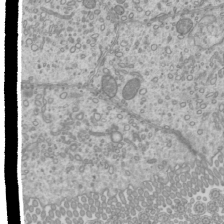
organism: Mouse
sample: Cilia; mouse epididymis